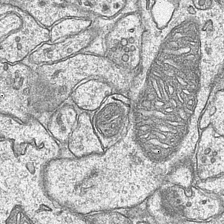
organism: Mouse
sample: CA1 Hippocampus